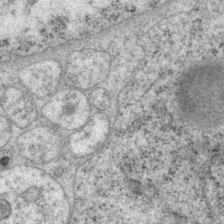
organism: P. pacificus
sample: Pharynx